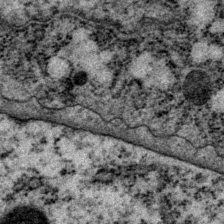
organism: P. pacificus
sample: Pharynx